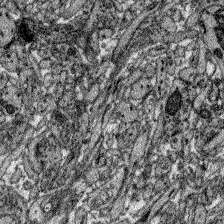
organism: Zebrafish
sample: Larval olfactory bulb